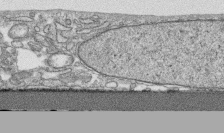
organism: Human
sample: CRL-1474